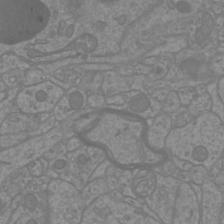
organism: Mouse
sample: Cortical neurons